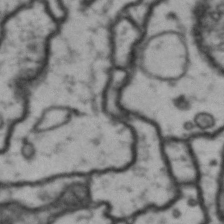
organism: Drosophila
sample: Brain